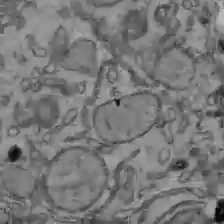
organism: C57BL Mouse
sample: Liver